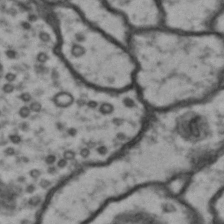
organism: Drosophila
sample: Brain